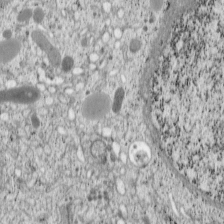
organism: African green monkey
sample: COS-7 cells